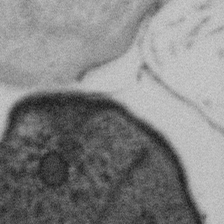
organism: Gemmata obscuriglobus